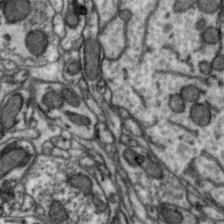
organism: Zebra finch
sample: Brain